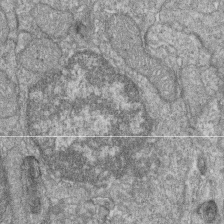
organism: Zebrafish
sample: Cilia; retinal pigment epithelium